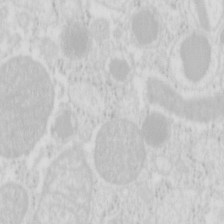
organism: Mouse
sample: Pancreas